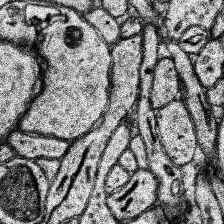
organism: Human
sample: Temporal Lobe